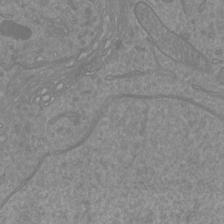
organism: Mouse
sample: Cortical neurons